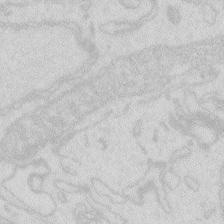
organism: Zebrafish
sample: Macrophage